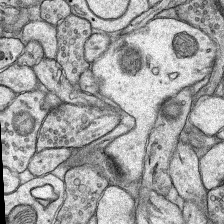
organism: Rat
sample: Hippocampus